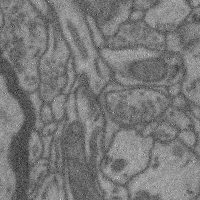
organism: Mouse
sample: Cerebral cortex